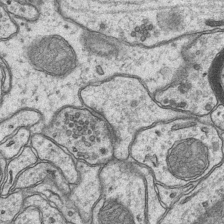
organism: Mouse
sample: CA1 Hippocampus